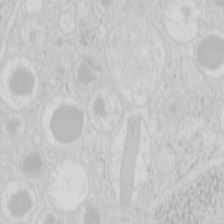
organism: Mouse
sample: Pancreas